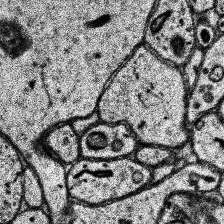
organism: Human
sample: Temporal Lobe